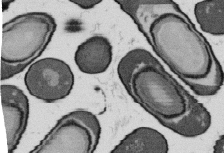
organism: B. subtilis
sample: Bacterial spore